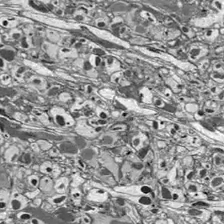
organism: Drosophila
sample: Optic lobe